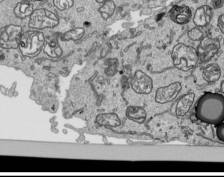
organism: Human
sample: Mitochondria in HCT116 cells